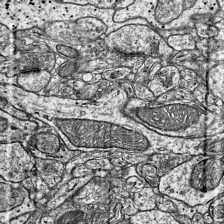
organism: Mouse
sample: Visual Cortex